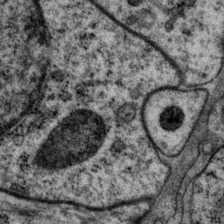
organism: P. pacificus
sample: Pharynx